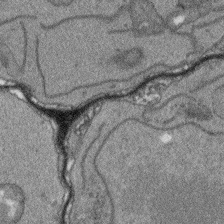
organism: Arabidopsis thaliana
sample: Root tip